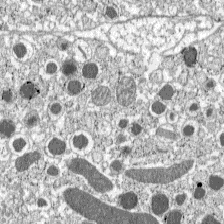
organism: C57BL Mouse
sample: Pancreatic islet